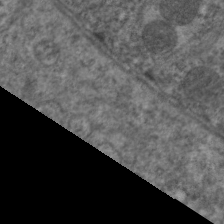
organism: C. elegans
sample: Pharynx